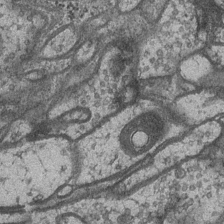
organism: Drosophila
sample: Optic medulla